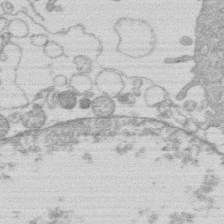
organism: Human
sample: Macrophage cells